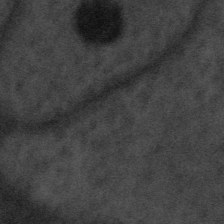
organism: Tuwongella immobilis